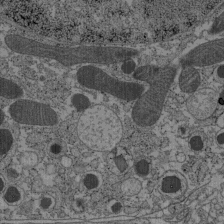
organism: C57BL Mouse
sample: Pancreatic islet